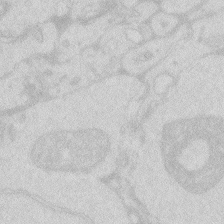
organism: Zebrafish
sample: Macrophage